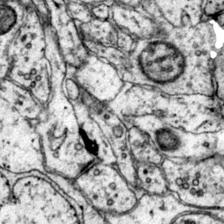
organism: Mouse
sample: Primary visual cortex